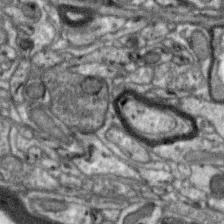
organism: Zebra finch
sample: Brain